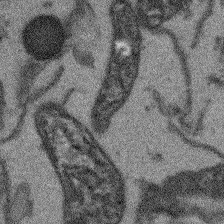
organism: Arabidopsis thaliana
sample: Root tip